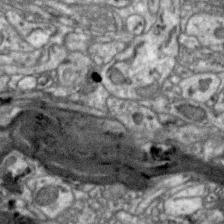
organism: Zebra finch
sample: Brain